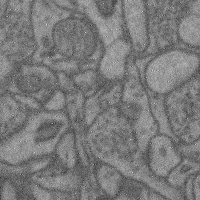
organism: Mouse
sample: Cerebral cortex